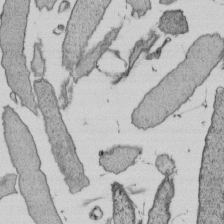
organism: E. coli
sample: Bacterial nucleoid